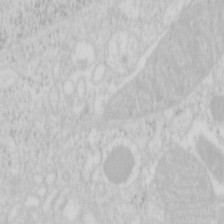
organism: Mouse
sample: Pancreas